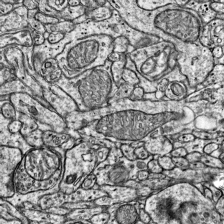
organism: Mouse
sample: Visual Cortex